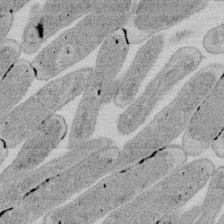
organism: E. coli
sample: Bacterial nucleoid